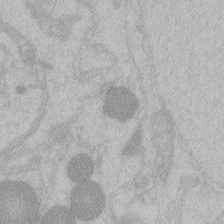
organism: Zebrafish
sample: Macrophage infected with Toxoplasma gondii